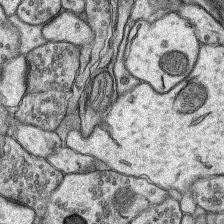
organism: Rat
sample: Hippocampus